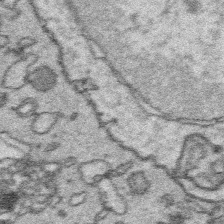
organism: Platynereis dumerilii